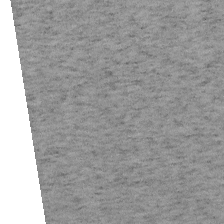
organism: Mouse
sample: OT-I killer T cells with ID8 ovarian cancer cells